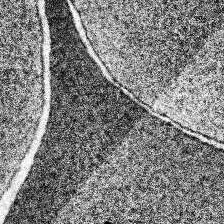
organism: Human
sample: Temporal Lobe